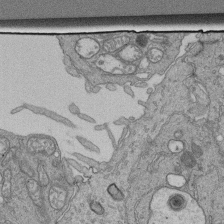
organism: Human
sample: Retinal organoid Rod and Cone cells